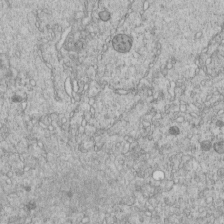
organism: C. elegans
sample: C. elegans embryo early stage